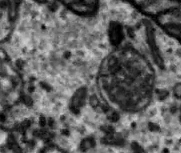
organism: Human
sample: HeLa cells